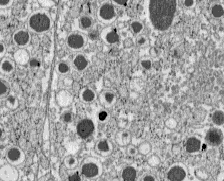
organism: C57BL Mouse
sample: Pancreatic islet